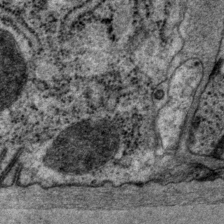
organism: P. pacificus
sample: Pharynx